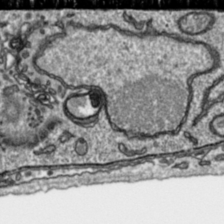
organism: Toxoplasma gondii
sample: Parasites in a vacuole inside a host cell